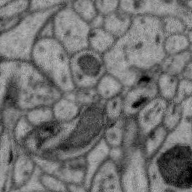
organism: Zebra finch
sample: Brain